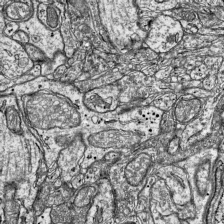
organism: Mouse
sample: Visual Cortex